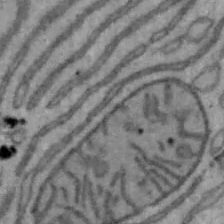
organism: Mouse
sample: Liver